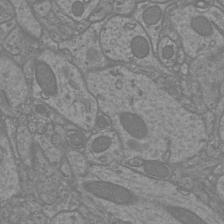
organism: Mouse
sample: Cortical neurons